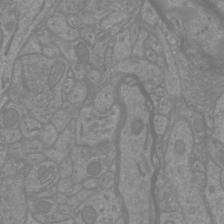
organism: Mouse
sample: Cortical neurons